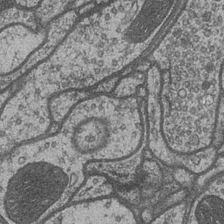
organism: Drosophila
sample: Optic medulla